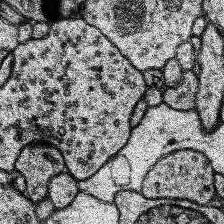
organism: Human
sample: Temporal Lobe